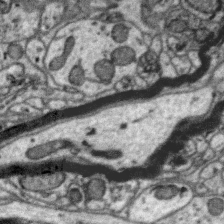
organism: Zebra finch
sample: Brain